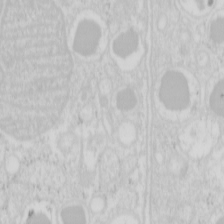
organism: Mouse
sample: Pancreas